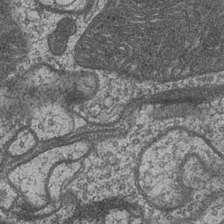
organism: Drosophila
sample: Optic medulla